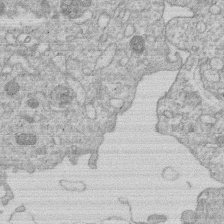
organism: Human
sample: Macrophage cells